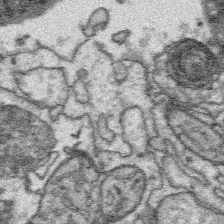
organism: Platynereis dumerilii